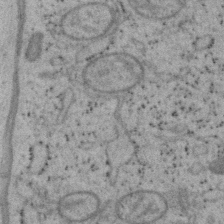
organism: Human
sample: HeLa cells